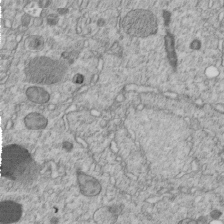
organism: C. elegans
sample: C. elegans embryo early stage